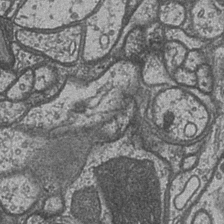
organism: Drosophila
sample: Optic medulla